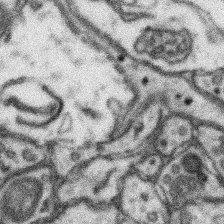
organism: Mouse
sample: Somatosensory cortex neuropil